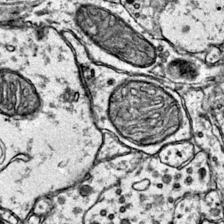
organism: Mouse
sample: Primary visual cortex